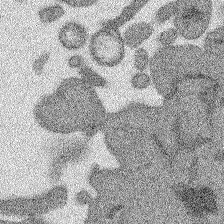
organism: Human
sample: HeLa cells